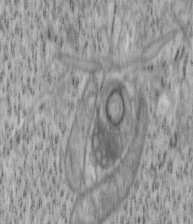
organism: Human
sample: HeLa cells